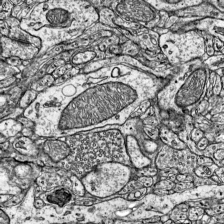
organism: Mouse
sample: Visual Cortex